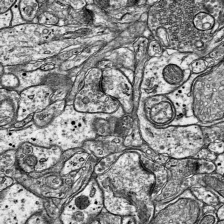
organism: Mouse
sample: Visual Cortex